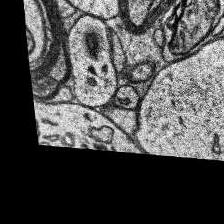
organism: Human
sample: Temporal Lobe